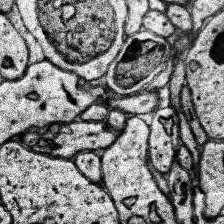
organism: Human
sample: Temporal Lobe